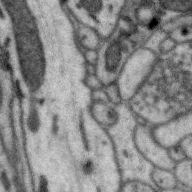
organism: Zebra finch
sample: Brain